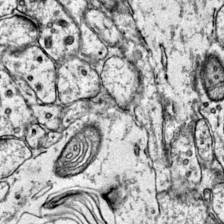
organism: Mouse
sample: Primary visual cortex